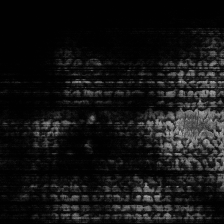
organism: Human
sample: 1205lu cells